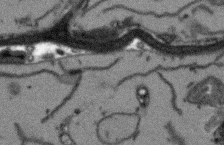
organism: Arabidopsis thaliana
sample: Root tip